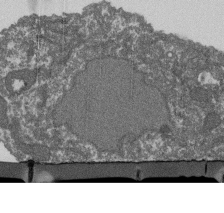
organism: Dictyostelium discoideum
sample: Dictyostelium multivesicular bodies